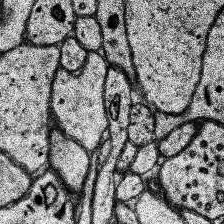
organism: Human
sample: Temporal Lobe